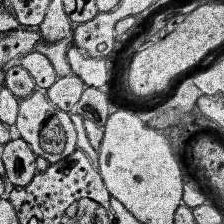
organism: Human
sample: Temporal Lobe